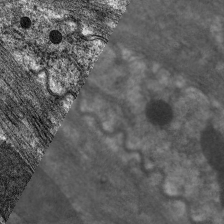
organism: C. elegans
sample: Pharynx